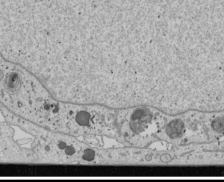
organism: Human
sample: Mitochondria in U2OS cells